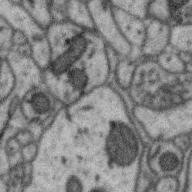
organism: Zebra finch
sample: Brain